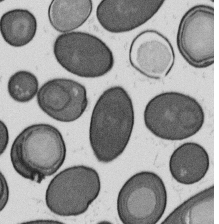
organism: B. subtilis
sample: Bacterial spore